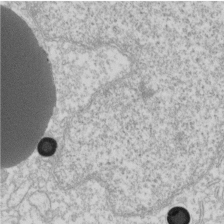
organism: Xenopus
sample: Cilia; centrioles in frog embryo cells